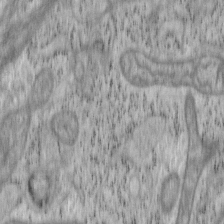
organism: Human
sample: HeLa cells